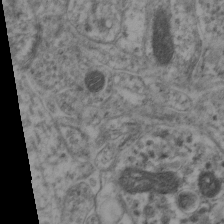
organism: Mouse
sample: Neocortex